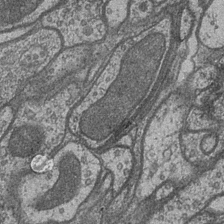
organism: Drosophila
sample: Optic medulla